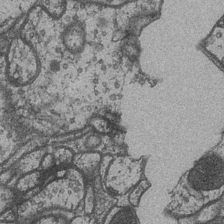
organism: Drosophila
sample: Optic medulla